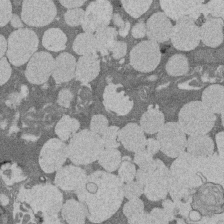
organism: Rat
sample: Salivary granule